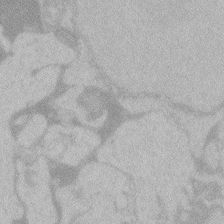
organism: Zebrafish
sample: Macrophage infected with Toxoplasma gondii